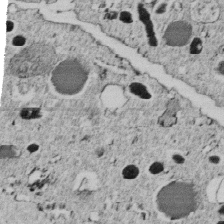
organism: C. elegans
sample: C. elegans embryo early stage